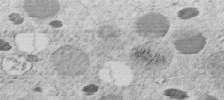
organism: C. elegans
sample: C. elegans embryo early stage